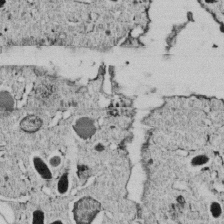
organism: C. elegans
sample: C. elegans embryo early stage